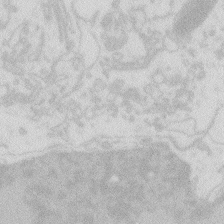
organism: Zebrafish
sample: Macrophage